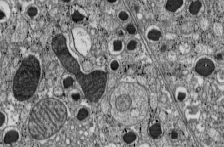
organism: C57BL Mouse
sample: Pancreatic islet